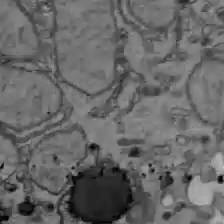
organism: C57BL Mouse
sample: Liver